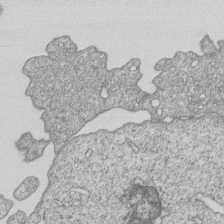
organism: Human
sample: MDA-MB-231 cells